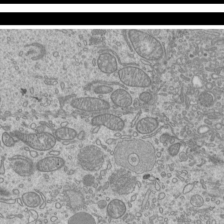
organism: Mouse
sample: Cilia; mouse epididymis